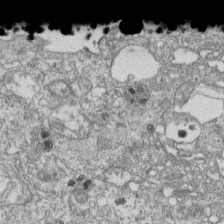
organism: Human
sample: HeLa cell HIV synapse